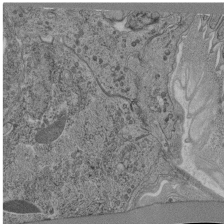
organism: C. elegans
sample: C. elegans pharynx